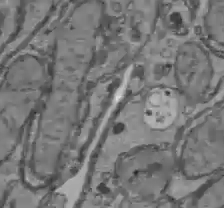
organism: C57BL Mouse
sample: Liver